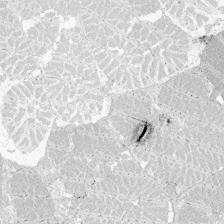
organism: Zebrafish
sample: Whole-Brain